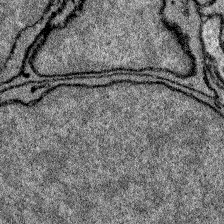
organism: Zebrafish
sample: Larval olfactory bulb